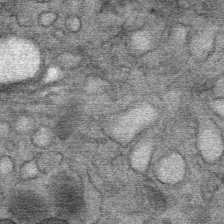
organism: Mouse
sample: Mouse Salivary gland